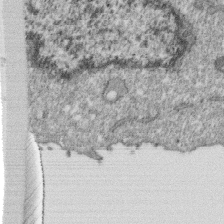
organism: African green monkey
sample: Vero E6 cells infected with SARS-CoV-2